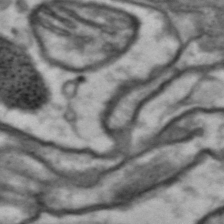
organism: Drosophila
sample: Brain